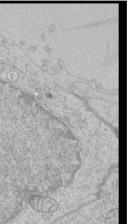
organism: Human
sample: Mitochondria in HCT116 cells